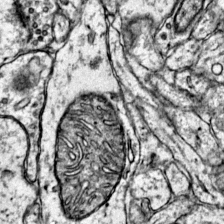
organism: Mouse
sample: Primary visual cortex